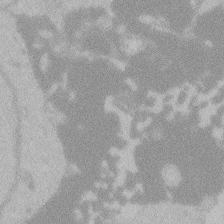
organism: Zebrafish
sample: Macrophage infected with Toxoplasma gondii